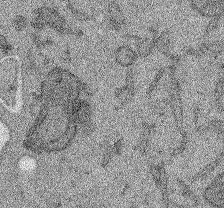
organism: Human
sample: HeLa cells